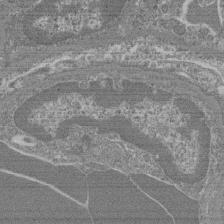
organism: Mouse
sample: Glomerulus